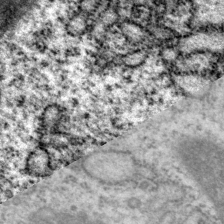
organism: P. pacificus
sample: Pharynx